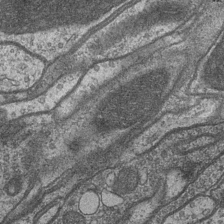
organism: Drosophila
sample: Optic medulla